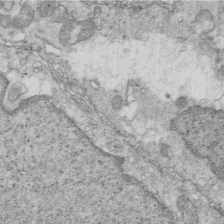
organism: Mouse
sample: Multiciliated cells